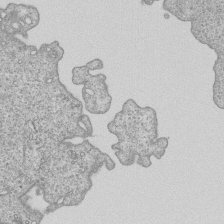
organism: Human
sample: MDA-MB-231 cells